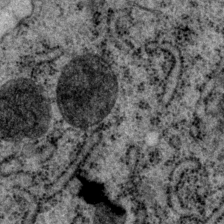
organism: P. pacificus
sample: Pharynx